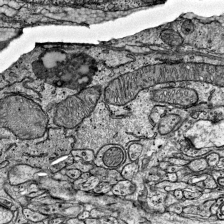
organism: Mouse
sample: Visual Cortex